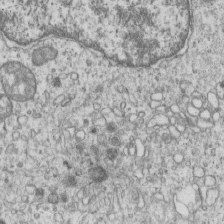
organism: Human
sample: MDA-MB-231 cells